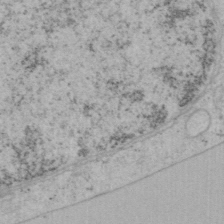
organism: Human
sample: HeLa cells